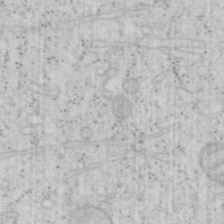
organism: Human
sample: HeLa cells